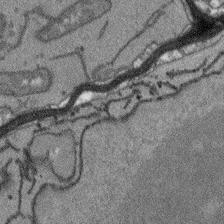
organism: Arabidopsis thaliana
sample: Root tip